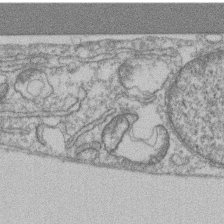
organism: Mouse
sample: T cell stromal cell synapse